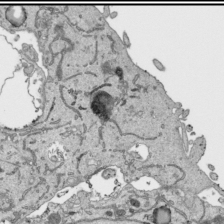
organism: Human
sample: Mitochondria in HCT116 cells